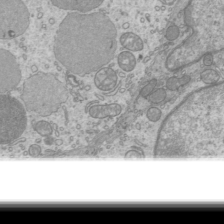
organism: Mouse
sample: Cilia; mouse epididymis